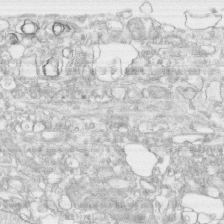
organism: Human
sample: CRL-1474